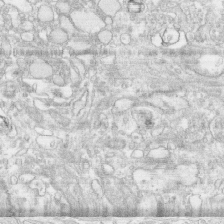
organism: Human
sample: CRL-1474